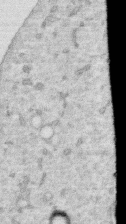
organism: Human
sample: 1205lu cells